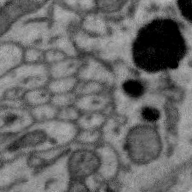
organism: Zebra finch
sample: Brain